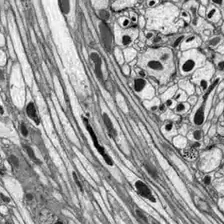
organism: Drosophila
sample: Optic lobe